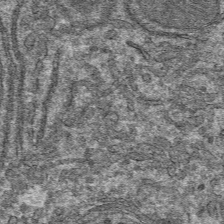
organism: Mouse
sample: Mouse hepatocytes